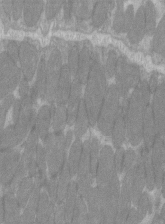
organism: C57BL Mouse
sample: Tibialis anterior muscle cell